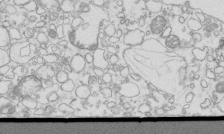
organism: Mouse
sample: Macrophages